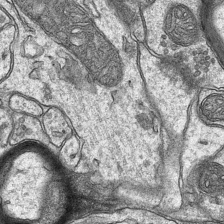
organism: Mouse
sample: CA1 Hippocampus